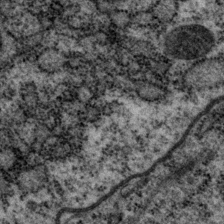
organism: P. pacificus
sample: Pharynx